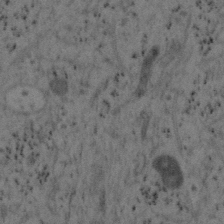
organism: Human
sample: HeLa cells